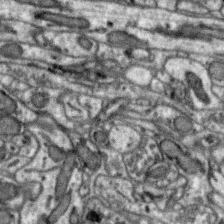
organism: Zebra finch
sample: Brain